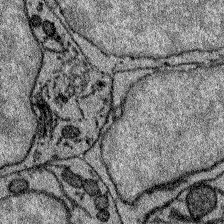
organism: Zebrafish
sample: Larval olfactory bulb